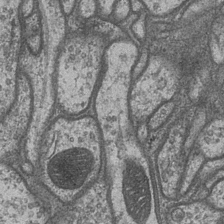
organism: Drosophila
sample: Optic medulla